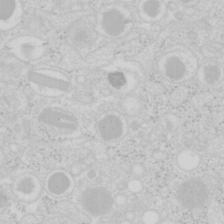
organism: Mouse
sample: Pancreas